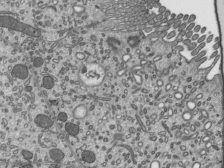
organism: Mouse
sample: Mouse epididymis efferent ductule cilia